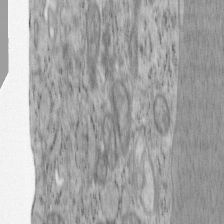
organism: Human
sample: HeLa cells